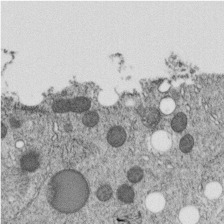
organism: C. elegans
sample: C. elegans embryo early stage